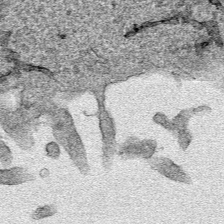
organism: Human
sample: Mitochondria in HCT116 cells